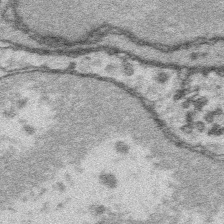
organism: Platynereis dumerilii